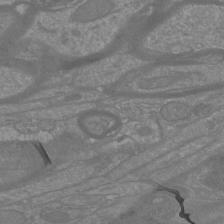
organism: Mouse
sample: Cortical neurons